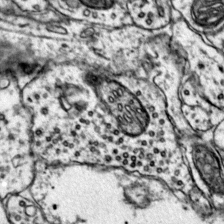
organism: Mouse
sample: Primary visual cortex